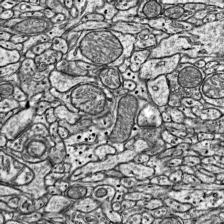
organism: Mouse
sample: Visual Cortex